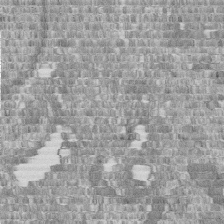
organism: Human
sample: Centriole in fibroblast cells